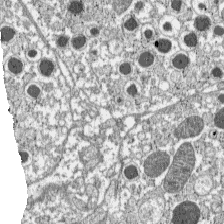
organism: C57BL Mouse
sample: Pancreatic islet